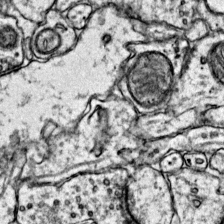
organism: Mouse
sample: Primary visual cortex